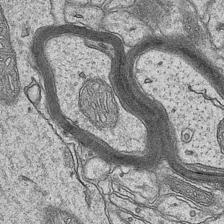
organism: Mouse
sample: CA1 Hippocampus